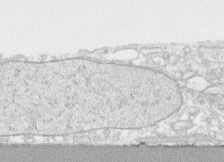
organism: Human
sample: CRL-1474